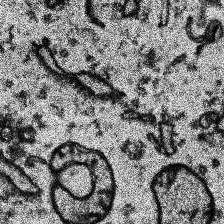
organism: Human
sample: Temporal Lobe